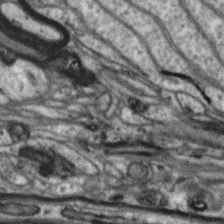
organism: Zebra finch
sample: Brain